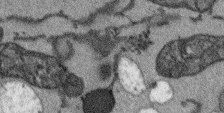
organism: Arabidopsis thaliana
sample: Root tip